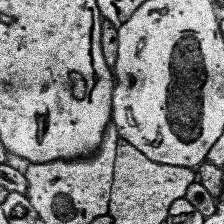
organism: Human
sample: Temporal Lobe